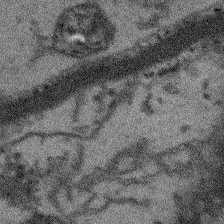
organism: Arabidopsis thaliana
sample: Root tip